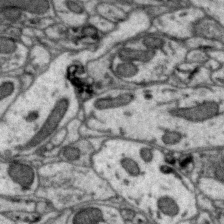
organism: Zebra finch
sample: Brain